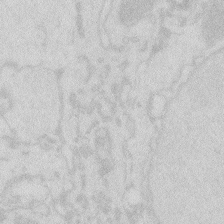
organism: Zebrafish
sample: Macrophage